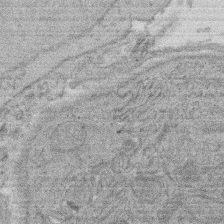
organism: Rat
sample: Salivary granule